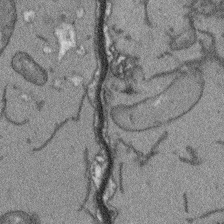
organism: Arabidopsis thaliana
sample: Root tip